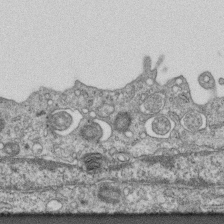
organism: Mouse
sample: Centriole in ependymal cells